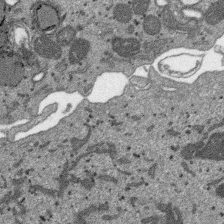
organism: Human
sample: Lung epithelial cells infected with SARS-CoV-2